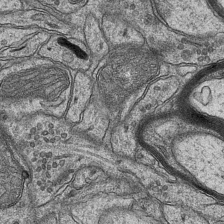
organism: Mouse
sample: CA1 Hippocampus